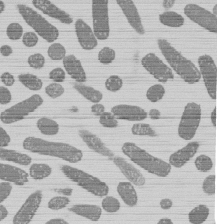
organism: E. coli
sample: Bacterial nucleoid